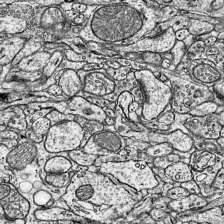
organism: Mouse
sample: Visual Cortex